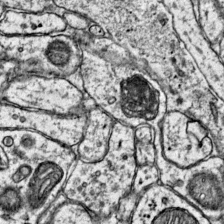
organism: Mouse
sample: Primary visual cortex